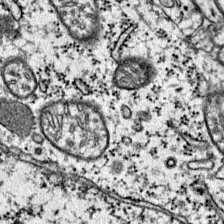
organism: Mouse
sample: Primary visual cortex